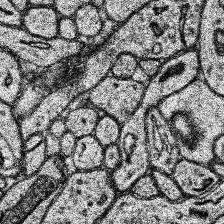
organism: Human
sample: Temporal Lobe